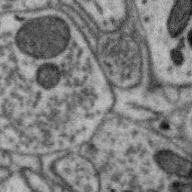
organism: Zebra finch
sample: Brain